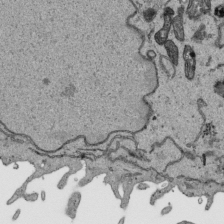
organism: Human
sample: Mitochondria in HCT116 cells